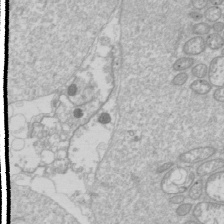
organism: Drosophila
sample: Cell division; meiosis; drosophila spermatocytes